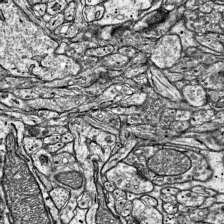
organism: Mouse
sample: Visual Cortex